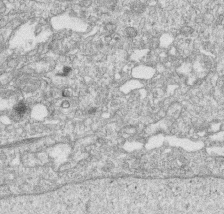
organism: Human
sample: HeLa cell HIV synapse